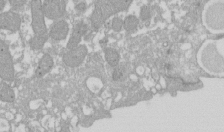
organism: Xenopus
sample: Cilia; centrioles in frog embryo cells